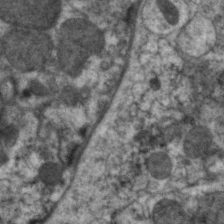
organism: C. elegans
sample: Pharynx